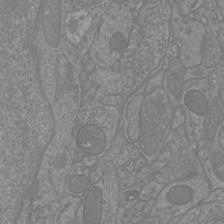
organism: Mouse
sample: Cortical neurons